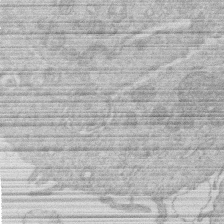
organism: Human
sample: Macrophage cells